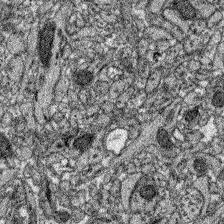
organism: Zebrafish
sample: Larval olfactory bulb